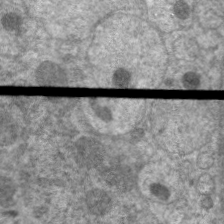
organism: C. elegans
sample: Pharynx